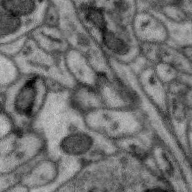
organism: Zebra finch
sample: Brain